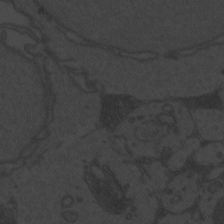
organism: Zebrafish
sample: Macrophage infected with Toxoplasma gondii